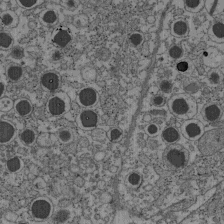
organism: C57BL Mouse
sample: Pancreatic islet